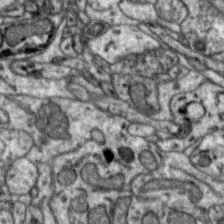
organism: Zebra finch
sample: Brain